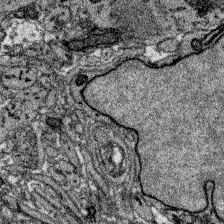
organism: Zebrafish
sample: Larval olfactory bulb